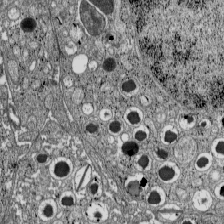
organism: C57BL Mouse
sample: Pancreatic islet